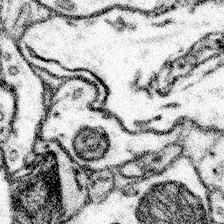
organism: Mouse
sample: Somatosensory cortex neuropil